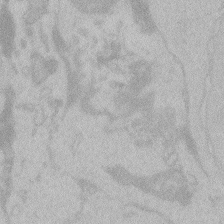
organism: Zebrafish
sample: Macrophage infected with Toxoplasma gondii